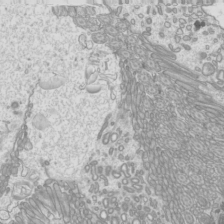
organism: Mouse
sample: Cilia; mouse epididymis